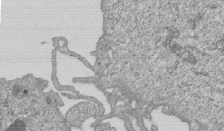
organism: Human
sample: MDA-MB-231 cells